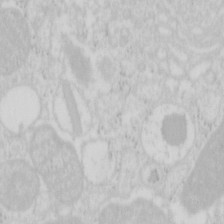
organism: Mouse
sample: Pancreas